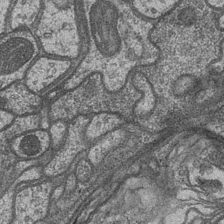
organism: Drosophila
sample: Optic medulla